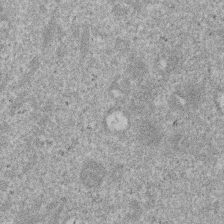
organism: Mouse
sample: Dividing mouse embryo 1 cell stage